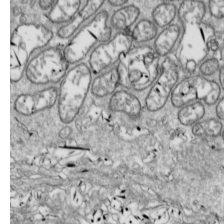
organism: Drosophila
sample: Cell division; meiosis; drosophila spermatocytes